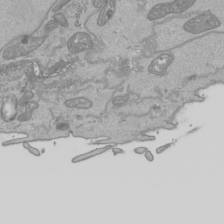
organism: Human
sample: Mitochondria in HCT116 cells